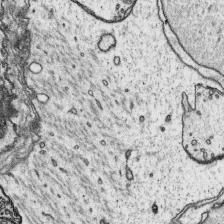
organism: Platynereis dumerilii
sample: Parapodia